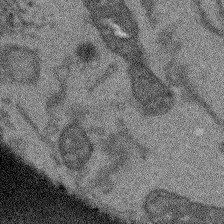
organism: Arabidopsis thaliana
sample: Root tip